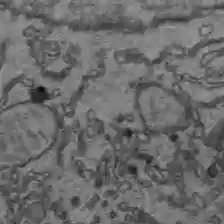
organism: C57BL Mouse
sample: Liver